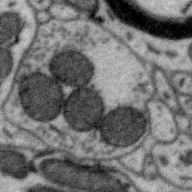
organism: Zebra finch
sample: Brain